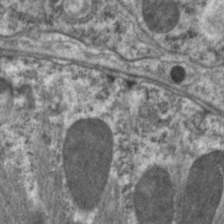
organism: C. elegans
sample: Pharynx